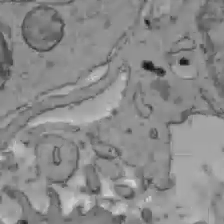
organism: C57BL Mouse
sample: Liver